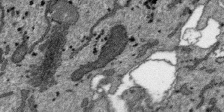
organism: Human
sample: Lung epithelial cells, uninfected (mock) control